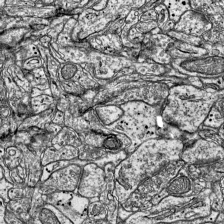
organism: Mouse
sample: Visual Cortex